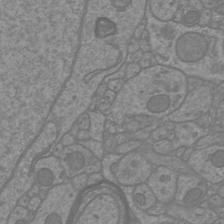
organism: Mouse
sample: Cortical neurons